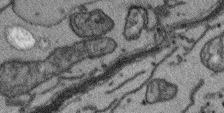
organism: Arabidopsis thaliana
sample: Root tip